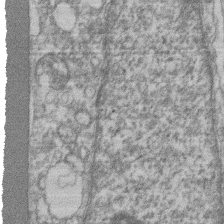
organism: Mouse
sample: T cell stromal cell synapse